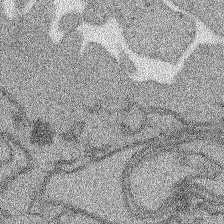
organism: Human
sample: HeLa cells